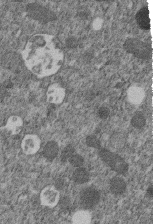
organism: C. elegans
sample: C. elegans embryo early stage